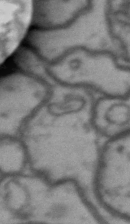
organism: Drosophila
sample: Brain